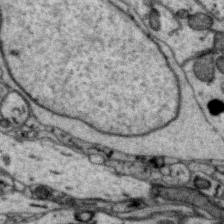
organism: Zebra finch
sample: Brain